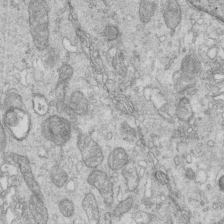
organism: Mouse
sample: Multiciliated cells